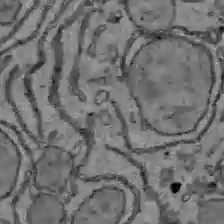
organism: C57BL Mouse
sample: Liver